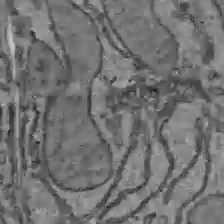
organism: C57BL Mouse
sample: Liver